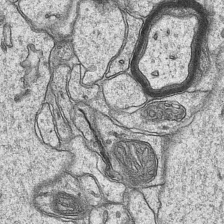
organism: Mouse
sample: CA1 Hippocampus